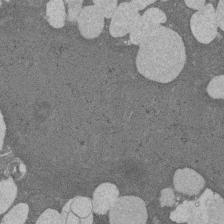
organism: Rat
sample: Salivary granule